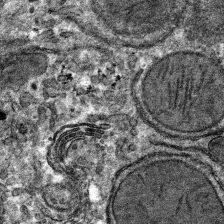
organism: Mouse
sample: Mouse hepatocytes